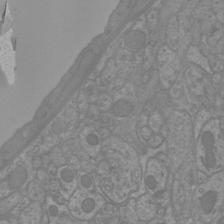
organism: Mouse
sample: Cortical neurons